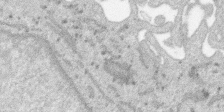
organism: Human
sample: Lung epithelial cells infected with SARS-CoV-2